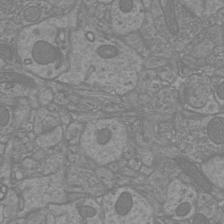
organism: Mouse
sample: Cortical neurons